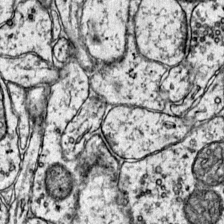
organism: Mouse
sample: Primary visual cortex